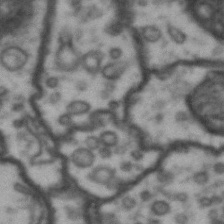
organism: Drosophila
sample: Brain